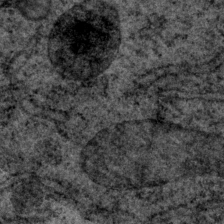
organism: P. pacificus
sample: Pharynx